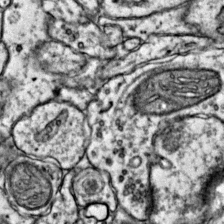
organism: Mouse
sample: Primary visual cortex